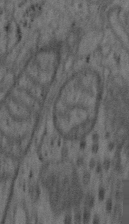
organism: Human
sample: HeLa cells